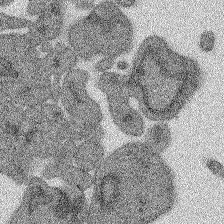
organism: Human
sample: HeLa cells